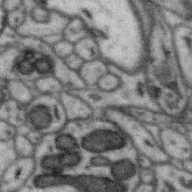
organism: Zebra finch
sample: Brain